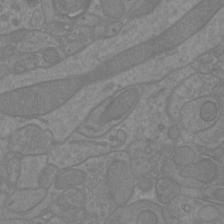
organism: Mouse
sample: Cortical neurons